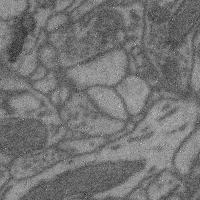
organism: Mouse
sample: Cerebral cortex